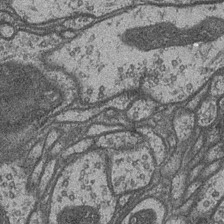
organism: Drosophila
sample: Optic medulla